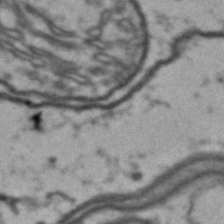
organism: Drosophila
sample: Brain